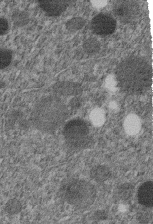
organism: C. elegans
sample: C. elegans embryo early stage